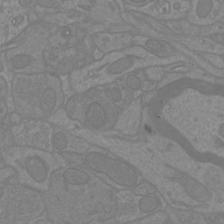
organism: Mouse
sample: Cortical neurons